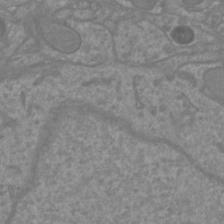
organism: Mouse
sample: Cortical neurons